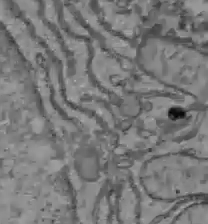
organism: C57BL Mouse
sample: Liver